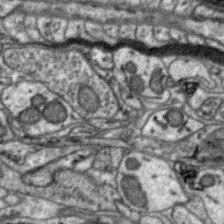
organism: Zebra finch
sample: Brain